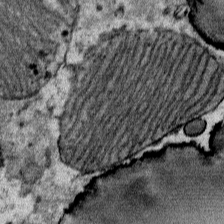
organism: Mouse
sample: Mouse Salivary gland